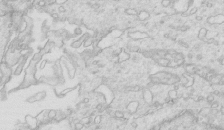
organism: Mouse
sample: Multiciliated cells